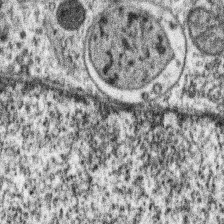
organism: Human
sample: HeLa cells